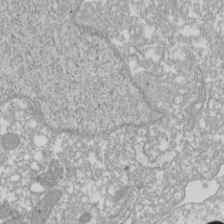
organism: Xenopus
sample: Cilia; centrioles in frog embryo cells